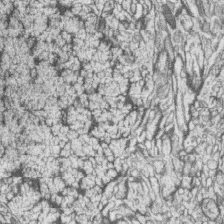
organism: Zebrafish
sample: synaptic ribbons in rod cells and cone cells